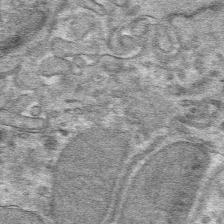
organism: Mouse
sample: Mouse hepatocytes